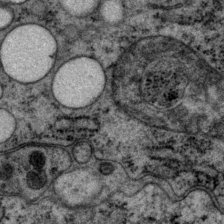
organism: P. pacificus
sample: Pharynx